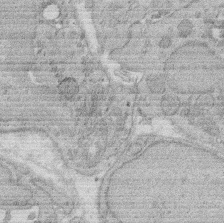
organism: Rat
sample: Salivary granule